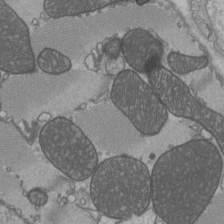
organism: C57BL Mouse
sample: Heart